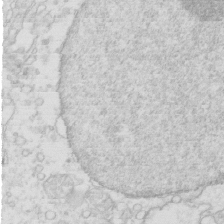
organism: Mouse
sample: Multiciliated cells